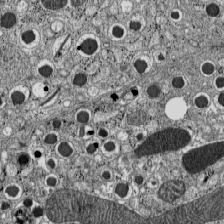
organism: C57BL Mouse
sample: Pancreatic islet